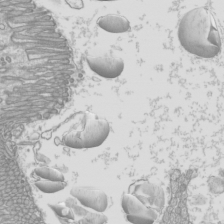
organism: Mouse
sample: Cilia; mouse epididymis